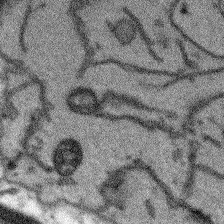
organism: Arabidopsis thaliana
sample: Root tip